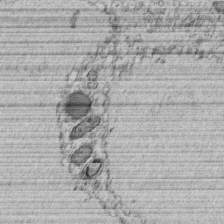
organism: C. elegans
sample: C. elegans embryo early stage